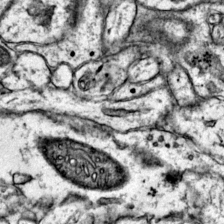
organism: Mouse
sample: Primary visual cortex